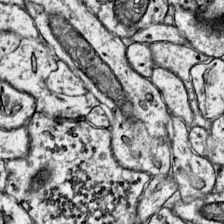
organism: Mouse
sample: Primary visual cortex